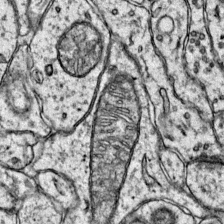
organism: Mouse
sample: Primary visual cortex